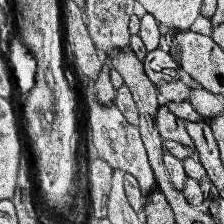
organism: Human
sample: Temporal Lobe